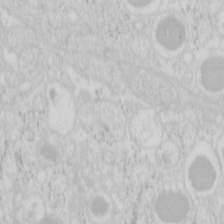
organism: Mouse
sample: Pancreas